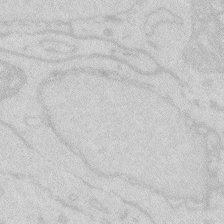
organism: Zebrafish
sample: Macrophage